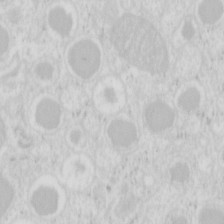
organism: Mouse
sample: Pancreas